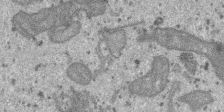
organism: Human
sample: Lung epithelial cells infected with SARS-CoV-2